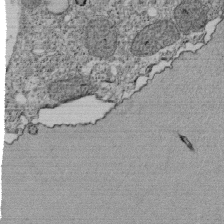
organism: Tetrahymena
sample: Cilia in tetrahymena